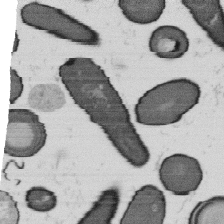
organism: B. subtilis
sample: Bacterial spore